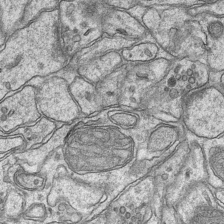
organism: Mouse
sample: CA1 Hippocampus